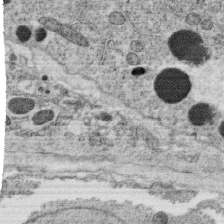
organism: C. elegans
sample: C. elegans oocyte; sperm cells